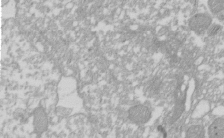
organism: Xenopus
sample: Cilia; centrioles in frog embryo cells